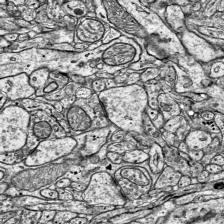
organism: Mouse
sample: Visual Cortex